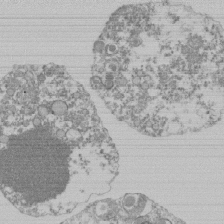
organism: Mouse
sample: Activated Pmel transgenic CD8+ T Cells